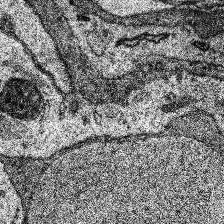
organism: Human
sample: Temporal Lobe